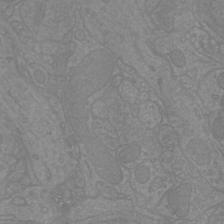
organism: Mouse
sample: Cortical neurons